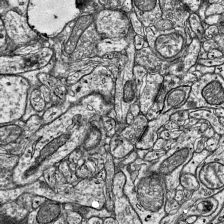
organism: Mouse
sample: Visual Cortex